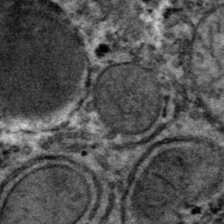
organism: Mouse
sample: Mouse hepatocytes